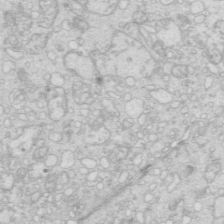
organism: Mouse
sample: Multiciliated cells